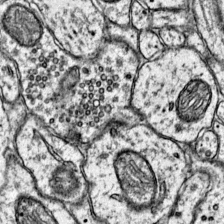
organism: Mouse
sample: Primary visual cortex